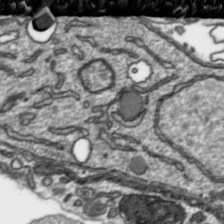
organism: Toxoplasma gondii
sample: Parasites in a vacuole inside a host cell